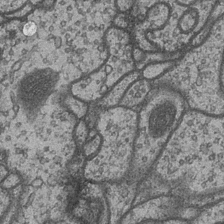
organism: Drosophila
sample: Optic medulla